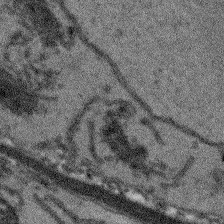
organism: Arabidopsis thaliana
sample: Root tip